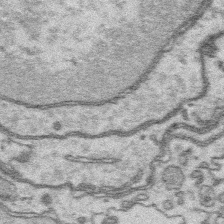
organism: Platynereis dumerilii